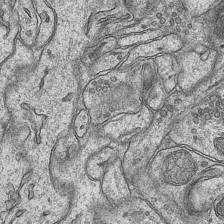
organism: Mouse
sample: CA1 Hippocampus